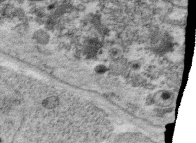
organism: C. elegans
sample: C. elegans oocyte; sperm cells